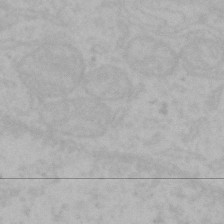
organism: Mouse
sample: Choroid plexus